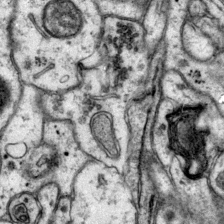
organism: Mouse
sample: Primary visual cortex